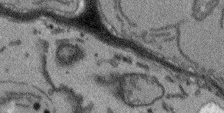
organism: Arabidopsis thaliana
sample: Root tip